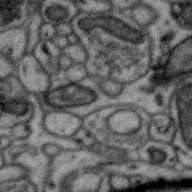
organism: Zebra finch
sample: Brain